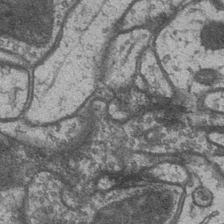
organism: Drosophila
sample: Optic medulla